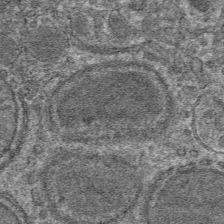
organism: Mouse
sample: Mouse hepatocytes